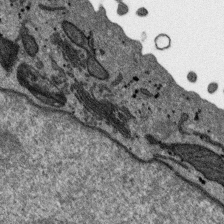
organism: Human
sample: Lung epithelial cells, uninfected (mock) control